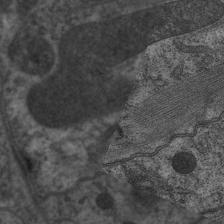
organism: C. elegans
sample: Pharynx